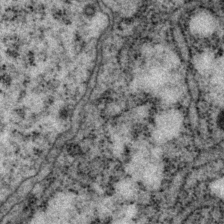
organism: P. pacificus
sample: Pharynx